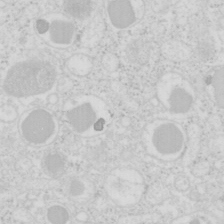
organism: Mouse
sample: Pancreas